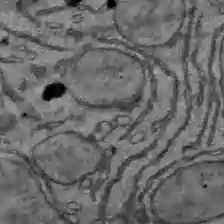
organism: C57BL Mouse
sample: Liver